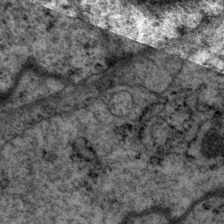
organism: P. pacificus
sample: Pharynx